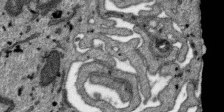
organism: Human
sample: Lung epithelial cells, uninfected (mock) control